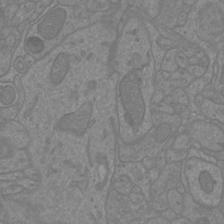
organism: Mouse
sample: Cortical neurons